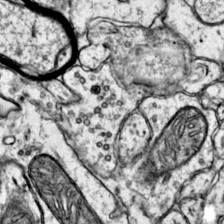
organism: Mouse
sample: Primary visual cortex